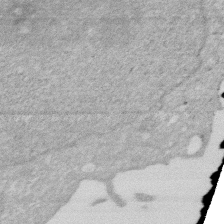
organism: Human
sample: HIV infected U937 cells